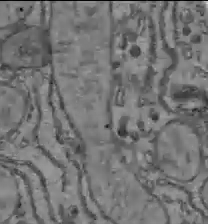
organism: C57BL Mouse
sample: Liver